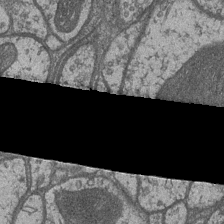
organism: Drosophila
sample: Optic medulla